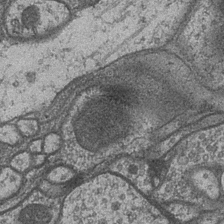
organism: Drosophila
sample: Optic medulla